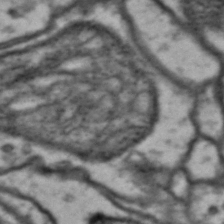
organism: Drosophila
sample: Brain